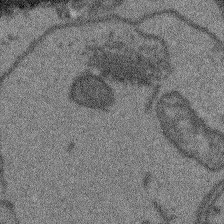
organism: Arabidopsis thaliana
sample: Root tip